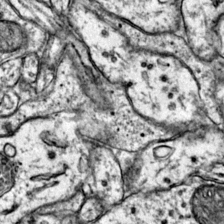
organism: Mouse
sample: Primary visual cortex